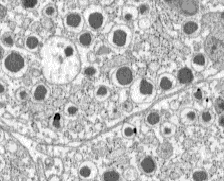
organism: C57BL Mouse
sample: Pancreatic islet